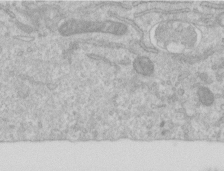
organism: Human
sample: Centriole in RPE cells